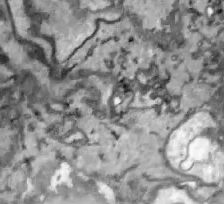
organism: Zebrafish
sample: Actinotrichia fibers